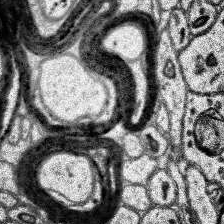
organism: Human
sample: Temporal Lobe